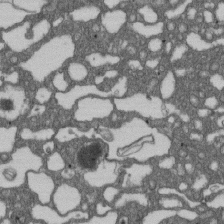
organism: Drosophila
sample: Nephrocyte